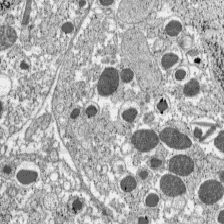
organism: C57BL Mouse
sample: Pancreatic islet